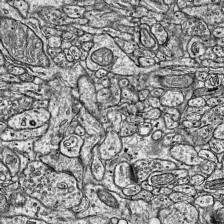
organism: Mouse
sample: Visual Cortex